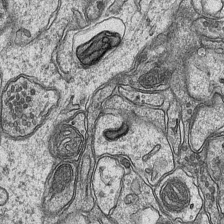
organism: Mouse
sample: CA1 Hippocampus